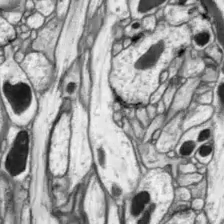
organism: Drosophila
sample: Optic lobe